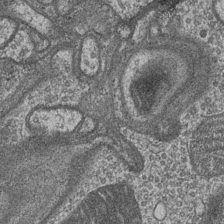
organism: Drosophila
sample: Optic medulla